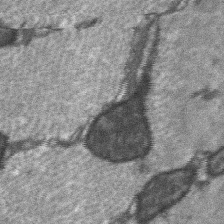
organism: C57BL Mouse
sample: Soleus